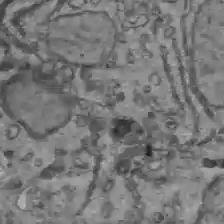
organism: C57BL Mouse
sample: Liver